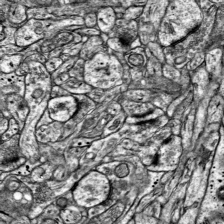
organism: Mouse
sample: Visual Cortex